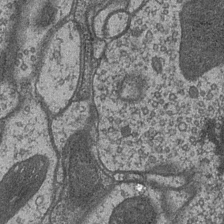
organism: Drosophila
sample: Optic medulla